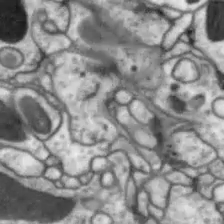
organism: Drosophila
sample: Optic lobe